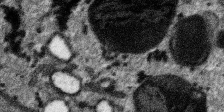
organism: Human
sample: Lung epithelial cells infected with SARS-CoV-2